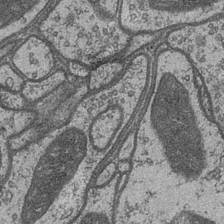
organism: Drosophila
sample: Optic medulla